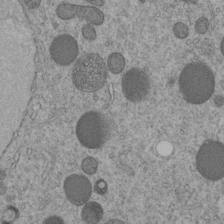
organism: C. elegans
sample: C. elegans embryo early stage